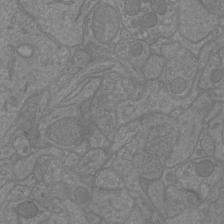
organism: Mouse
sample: Cortical neurons